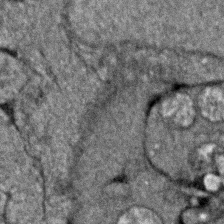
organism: Zebrafish